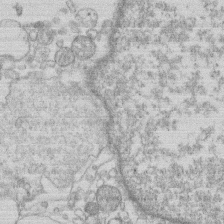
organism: Human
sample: Macrophage cells